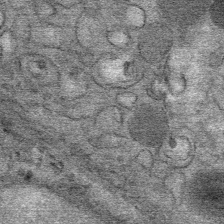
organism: Mouse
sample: Mouse Salivary gland